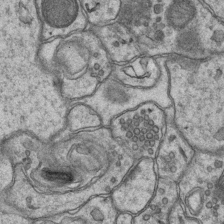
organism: Mouse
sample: CA1 Hippocampus